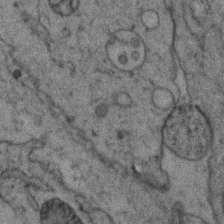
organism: Zebrafish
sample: Zebrafish embryo